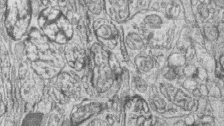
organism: Zebrafish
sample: synaptic ribbons in rod cells and cone cells